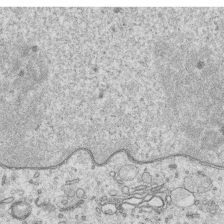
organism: Human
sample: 1205lu cells